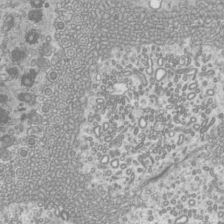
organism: Mouse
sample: Cilia; mouse epididymis